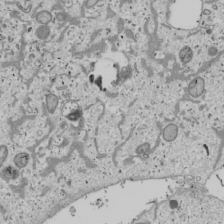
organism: Human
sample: Mitochondria in U2OS cells